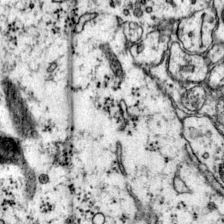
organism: Mouse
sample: Primary visual cortex